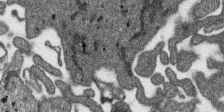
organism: Human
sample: Lung epithelial cells infected with SARS-CoV-2